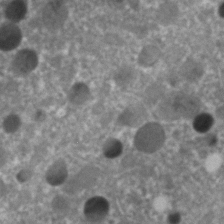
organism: C. elegans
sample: C. elegans embryo